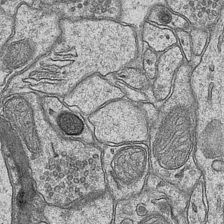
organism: Mouse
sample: CA1 Hippocampus